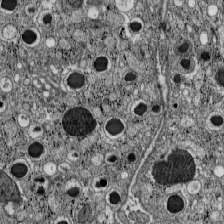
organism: C57BL Mouse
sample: Pancreatic islet